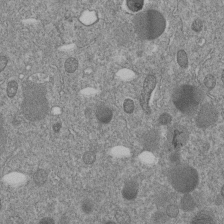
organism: C. elegans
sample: C. elegans embryo early stage